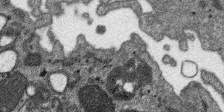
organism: Human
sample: Lung epithelial cells infected with SARS-CoV-2